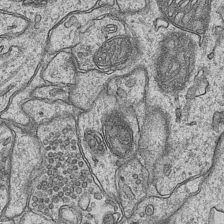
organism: Mouse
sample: CA1 Hippocampus